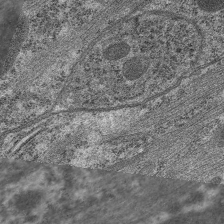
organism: C. elegans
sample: Pharynx